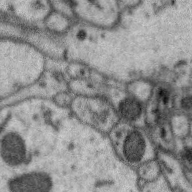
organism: Zebra finch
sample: Brain